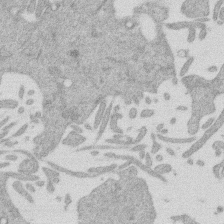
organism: Mouse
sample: Dividing mouse embryo 1 cell stage